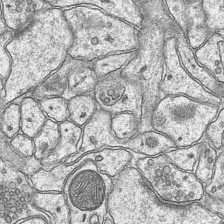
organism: Mouse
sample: CA1 Hippocampus